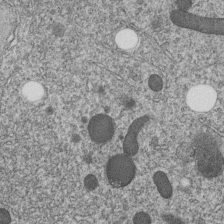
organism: C. elegans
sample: C. elegans embryo early stage